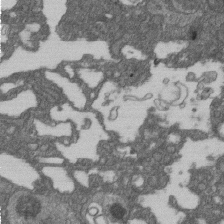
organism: Drosophila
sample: Nephrocyte